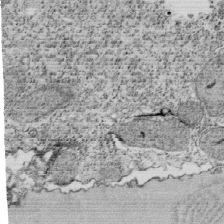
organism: Tetrahymena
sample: Cilia in tetrahymena